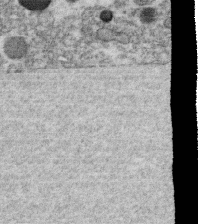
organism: C. elegans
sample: C. elegans oocyte; sperm cells